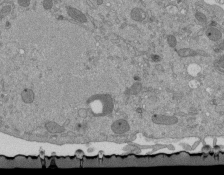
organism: Mouse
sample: ED-1 cell nuclei; centrioles